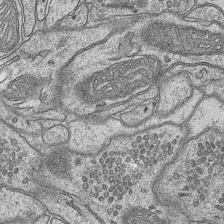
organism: Mouse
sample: CA1 Hippocampus